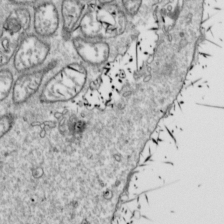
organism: Drosophila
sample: Cell division; meiosis; drosophila spermatocytes